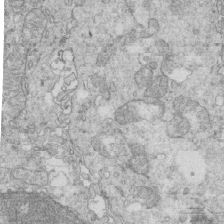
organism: Mouse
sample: Multiciliated cells